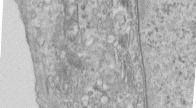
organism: Human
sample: Centriole in RPE cells